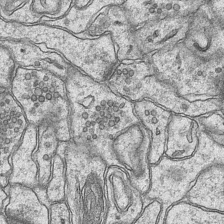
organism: Mouse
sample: CA1 Hippocampus